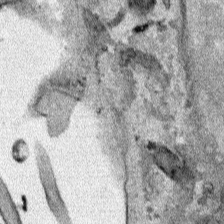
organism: Human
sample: Mitochondria in HCT116 cells